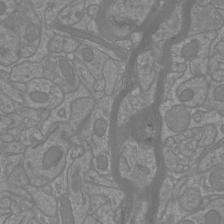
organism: Mouse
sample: Cortical neurons